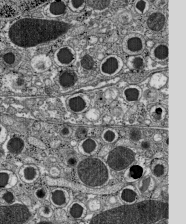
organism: C57BL Mouse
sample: Pancreatic islet